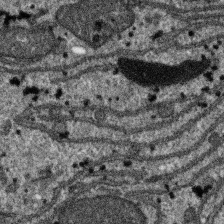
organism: Human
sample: Lung epithelial cells infected with SARS-CoV-2